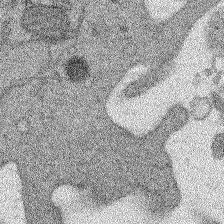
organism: Human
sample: HeLa cells